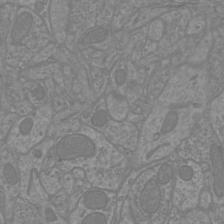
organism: Mouse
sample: Cortical neurons